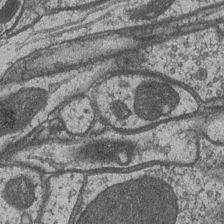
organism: Drosophila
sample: Optic medulla